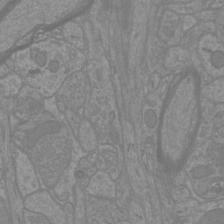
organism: Mouse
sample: Cortical neurons